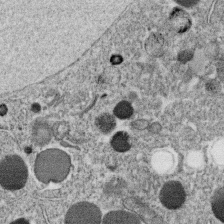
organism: C. elegans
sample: C. elegans oocyte; sperm cells